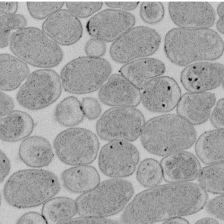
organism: E. coli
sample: Bacterial nucleoid